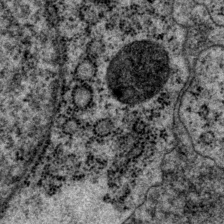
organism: P. pacificus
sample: Pharynx